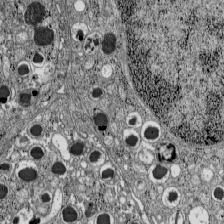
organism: C57BL Mouse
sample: Pancreatic islet